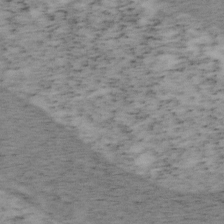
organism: Mouse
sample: OT-I killer T cells with ID8 ovarian cancer cells